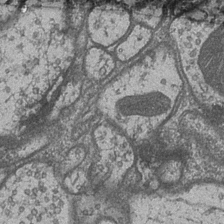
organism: Drosophila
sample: Optic medulla